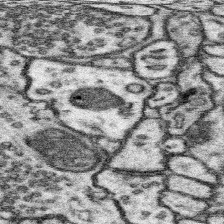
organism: Mouse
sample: Somatosensory cortex neuropil